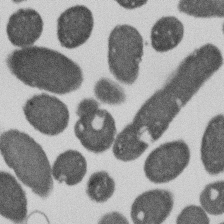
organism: E. coli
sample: Bacterial nucleoid